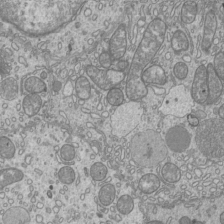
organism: Mouse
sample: Cilia; mouse epididymis